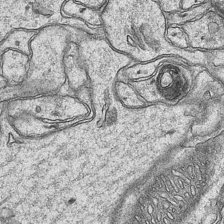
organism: Mouse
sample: CA1 Hippocampus